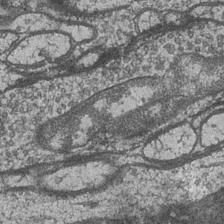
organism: Drosophila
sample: Optic medulla